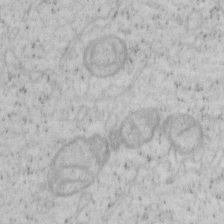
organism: Human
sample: HeLa cells